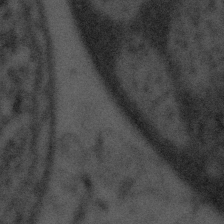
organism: Tuwongella immobilis